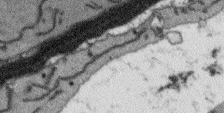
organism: Arabidopsis thaliana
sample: Root tip